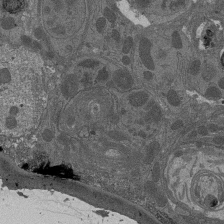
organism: Drosophila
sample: Antenna